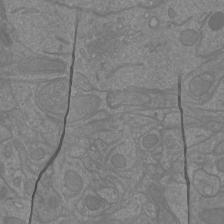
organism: Mouse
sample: Cortical neurons